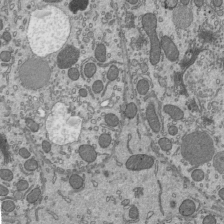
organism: Mouse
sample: Mouse epididymis efferent ductule cilia